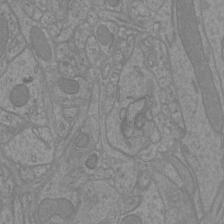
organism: Mouse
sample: Cortical neurons